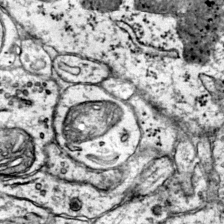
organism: Mouse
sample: Primary visual cortex